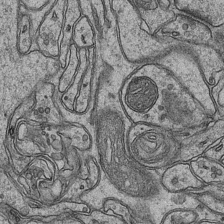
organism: Mouse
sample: CA1 Hippocampus